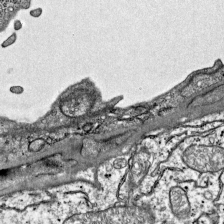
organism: Mouse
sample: Visual Cortex